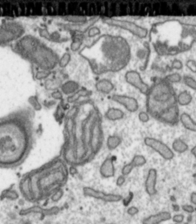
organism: Toxoplasma gondii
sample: Parasites in a vacuole inside a host cell